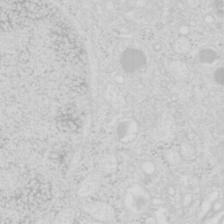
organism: Mouse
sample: Pancreas